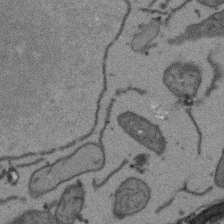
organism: Arabidopsis thaliana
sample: Root tip